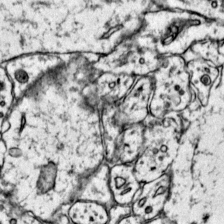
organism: Mouse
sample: Primary visual cortex